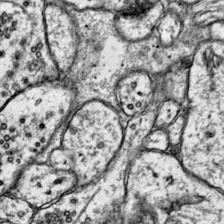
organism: Mouse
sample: Primary visual cortex